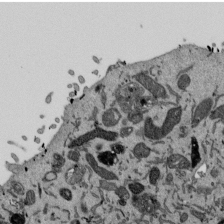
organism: Mouse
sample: ED-1 cell nuclei; centrioles